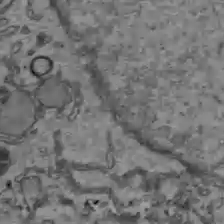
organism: C57BL Mouse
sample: Liver